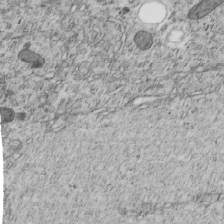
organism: C. elegans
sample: C. elegans embryo early stage